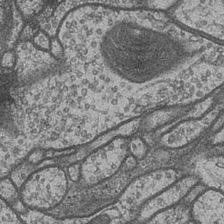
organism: Drosophila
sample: Optic medulla